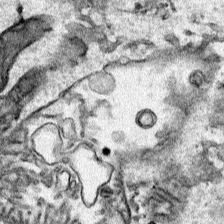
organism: Human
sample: Mitochondria in HCT116 cells